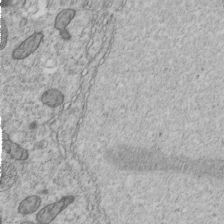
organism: C. elegans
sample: C. elegans embryo early stage